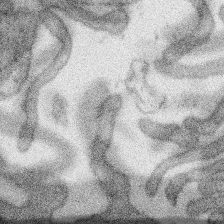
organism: Human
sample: Lung epithelial cells infected with SARS-CoV-2